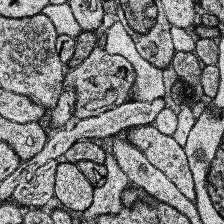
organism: Human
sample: Temporal Lobe